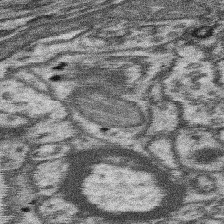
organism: Mouse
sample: Somatosensory cortex neuropil